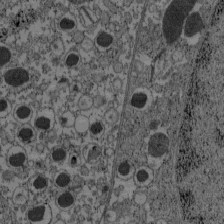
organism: C57BL Mouse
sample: Pancreatic islet